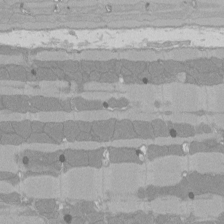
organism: Rat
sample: Left ventricle